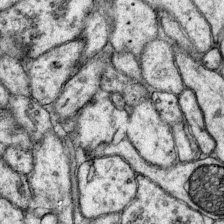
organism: Mouse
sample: Primary visual cortex